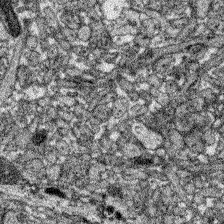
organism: Zebrafish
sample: Larval olfactory bulb